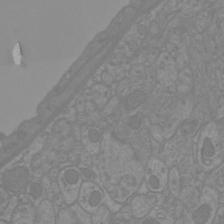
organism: Mouse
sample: Cortical neurons